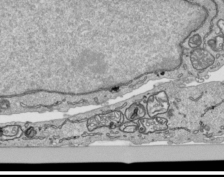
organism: Human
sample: Mitochondria in HCT116 cells